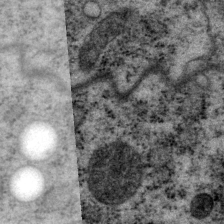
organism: P. pacificus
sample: Pharynx